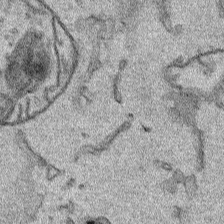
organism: Human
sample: Mitochondria in HCT116 cells